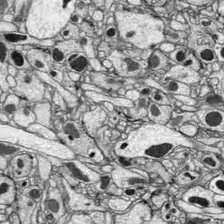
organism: Drosophila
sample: Optic lobe